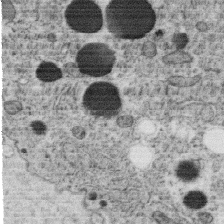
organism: C. elegans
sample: C. elegans oocyte; sperm cells